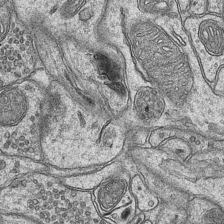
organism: Mouse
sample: CA1 Hippocampus